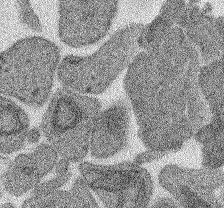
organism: Human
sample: HeLa cells